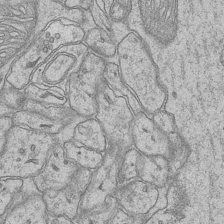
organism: Mouse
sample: CA1 Hippocampus